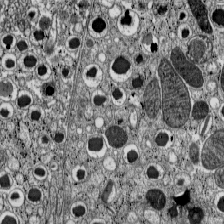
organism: C57BL Mouse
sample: Pancreatic islet